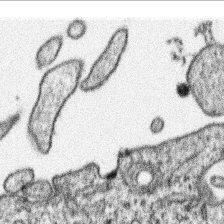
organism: Human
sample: HeLa cells